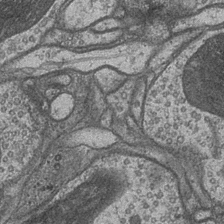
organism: Drosophila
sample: Optic medulla